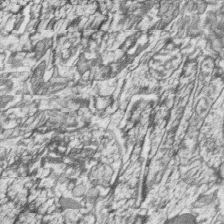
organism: Zebrafish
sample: synaptic ribbons in rod cells and cone cells